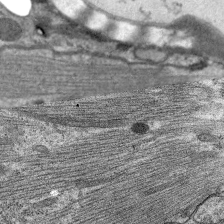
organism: C. elegans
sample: Pharynx